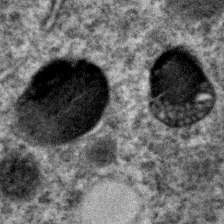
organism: C. elegans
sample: C. elegans embryo